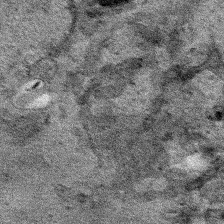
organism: Human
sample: Mitochondria in HCT116 cells